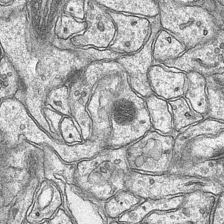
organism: Mouse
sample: CA1 Hippocampus